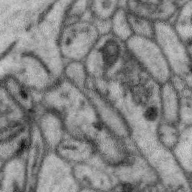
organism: Zebra finch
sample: Brain